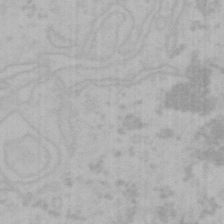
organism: Mouse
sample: Choroid plexus